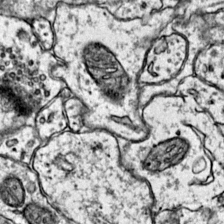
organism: Mouse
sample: Primary visual cortex